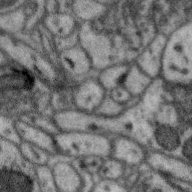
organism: Zebra finch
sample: Brain